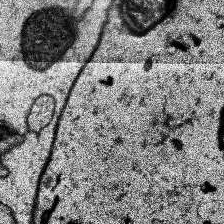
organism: Human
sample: Temporal Lobe